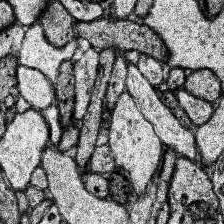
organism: Human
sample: Temporal Lobe